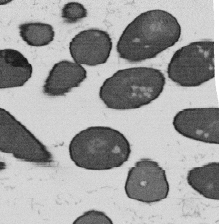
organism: B. subtilis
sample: Bacterial spore